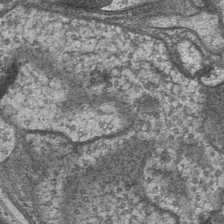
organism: Drosophila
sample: Optic medulla